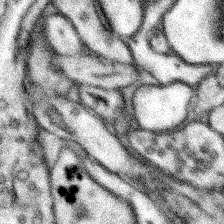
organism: Mouse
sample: Somatosensory cortex neuropil